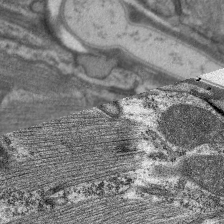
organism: C. elegans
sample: Pharynx